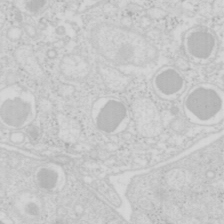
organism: Mouse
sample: Pancreas